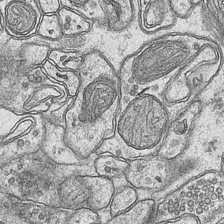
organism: Mouse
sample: CA1 Hippocampus